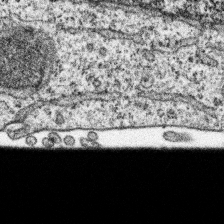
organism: Human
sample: HeLa cells